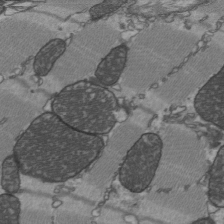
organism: C57BL Mouse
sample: Heart